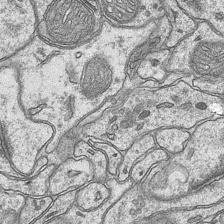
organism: Mouse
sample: CA1 Hippocampus